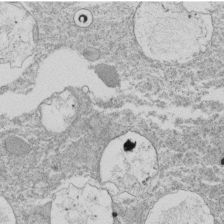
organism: Tetrahymena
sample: Cilia in tetrahymena